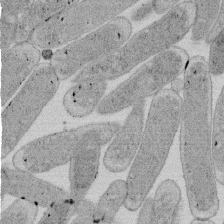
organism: E. coli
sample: Bacterial nucleoid